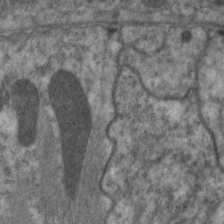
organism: C. elegans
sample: Pharynx